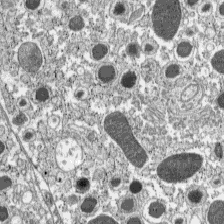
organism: C57BL Mouse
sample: Pancreatic islet